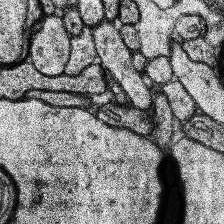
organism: Human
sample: Temporal Lobe